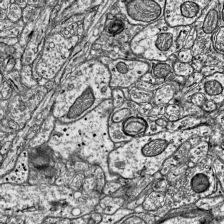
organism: Mouse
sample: Visual Cortex